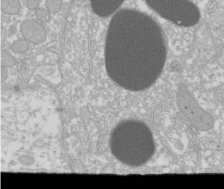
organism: Xenopus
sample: Cilia; centrioles in frog embryo cells